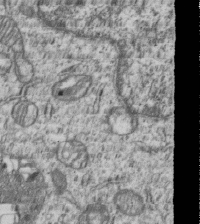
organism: Human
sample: MDA-MB-231 cells